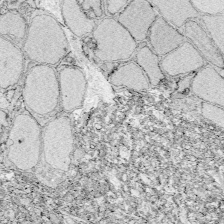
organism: Zebrafish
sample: Whole-Brain